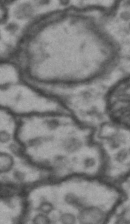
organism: Drosophila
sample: Brain